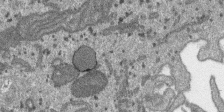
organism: Human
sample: Lung epithelial cells infected with SARS-CoV-2